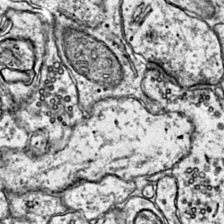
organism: Mouse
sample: Primary visual cortex